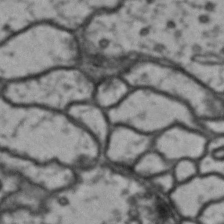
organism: Drosophila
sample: Brain